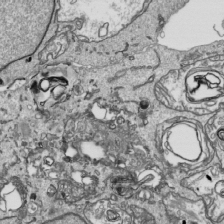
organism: Human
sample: Mitochondria in HCT116 cells